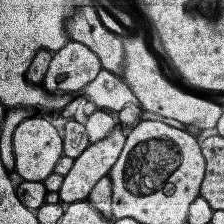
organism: Human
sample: Temporal Lobe